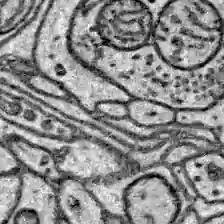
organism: Zebrafish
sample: Brain